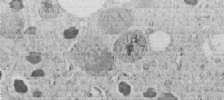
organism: C. elegans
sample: C. elegans embryo early stage